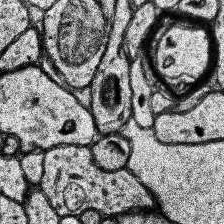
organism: Human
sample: Temporal Lobe